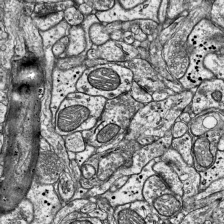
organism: Mouse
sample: Visual Cortex